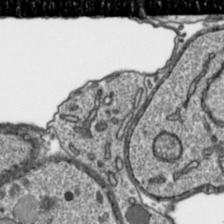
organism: Toxoplasma gondii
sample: Parasites in a vacuole inside a host cell